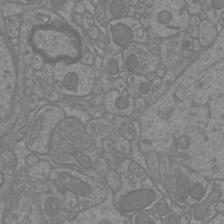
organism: Mouse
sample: Cortical neurons